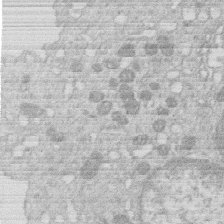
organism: Human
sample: Macrophage cells